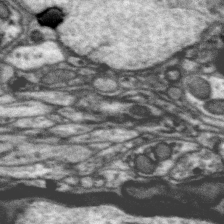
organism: Zebra finch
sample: Brain